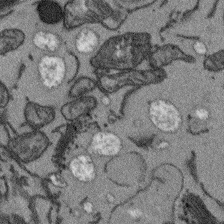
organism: Arabidopsis thaliana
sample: Root tip